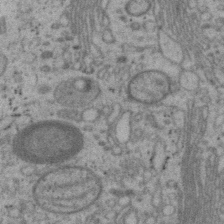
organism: Human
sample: HeLa cells